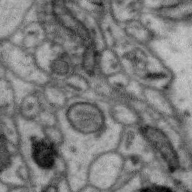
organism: Zebra finch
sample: Brain